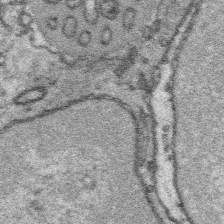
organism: Platynereis dumerilii